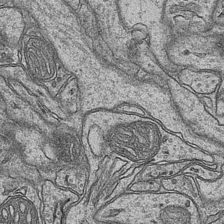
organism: Mouse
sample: CA1 Hippocampus